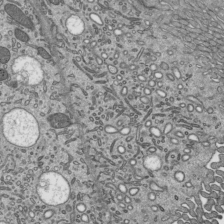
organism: Mouse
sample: Mouse epididymis efferent ductule cilia